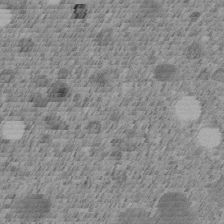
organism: C. elegans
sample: C. elegans embryo early stage